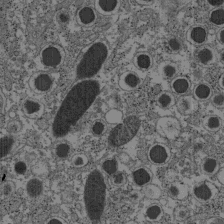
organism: C57BL Mouse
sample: Pancreatic islet